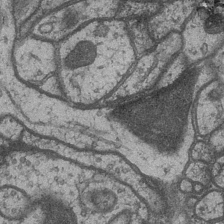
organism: Drosophila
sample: Optic medulla